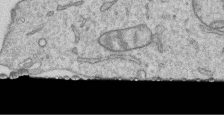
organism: Human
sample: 1205lu cells